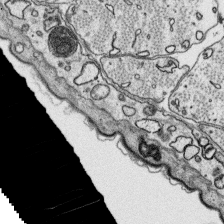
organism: Platynereis dumerilii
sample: Parapodia